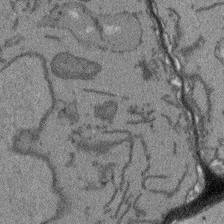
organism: Arabidopsis thaliana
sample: Root tip